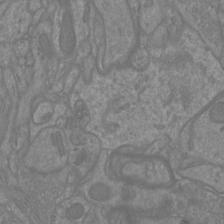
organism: Mouse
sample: Cortical neurons